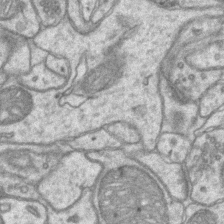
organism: Mouse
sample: CA1 Hippocampus